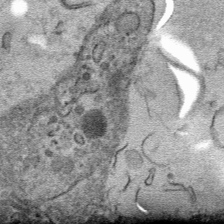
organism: Mouse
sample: Mouse hepatocytes